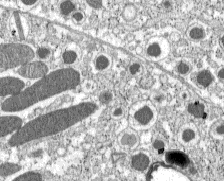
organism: C57BL Mouse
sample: Pancreatic islet